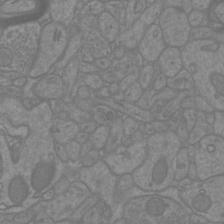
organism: Mouse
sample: Cortical neurons